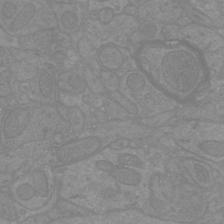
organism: Mouse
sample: Cortical neurons